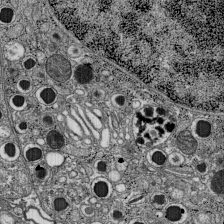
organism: C57BL Mouse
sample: Pancreatic islet